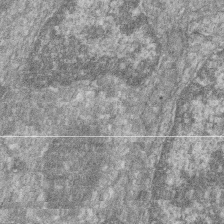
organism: Zebrafish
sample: Cilia; retinal pigment epithelium